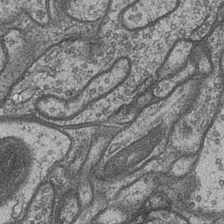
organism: Drosophila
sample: Optic medulla